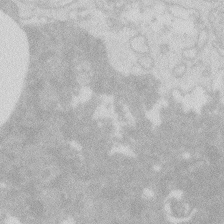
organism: Zebrafish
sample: Macrophage